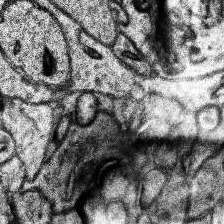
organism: Human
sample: Temporal Lobe